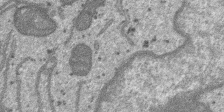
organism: Human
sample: Lung epithelial cells infected with SARS-CoV-2